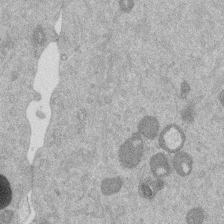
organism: Mouse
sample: Dividing mouse embryo 1 cell stage